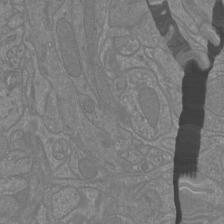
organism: Mouse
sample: Cortical neurons